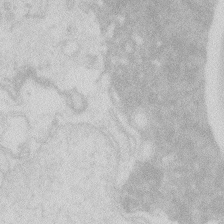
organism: Zebrafish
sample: Macrophage